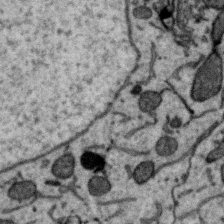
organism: Zebra finch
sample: Brain